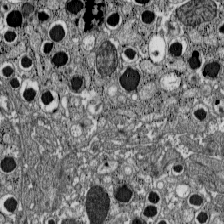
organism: C57BL Mouse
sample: Pancreatic islet